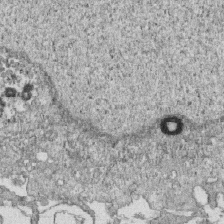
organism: Human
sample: HeLa cell HIV synapse